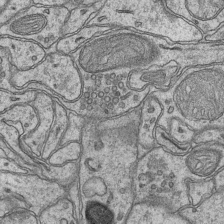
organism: Mouse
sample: CA1 Hippocampus